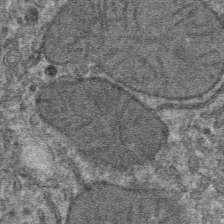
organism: Mouse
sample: Mouse hepatocytes